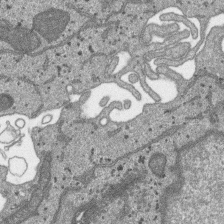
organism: Human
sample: Lung epithelial cells infected with SARS-CoV-2